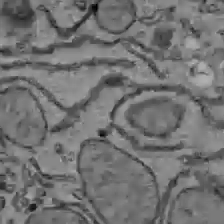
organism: C57BL Mouse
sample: Liver